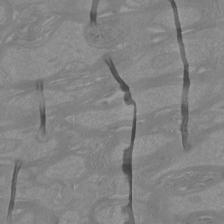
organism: Mouse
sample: Cortical neurons